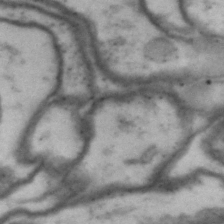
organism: Drosophila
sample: Brain